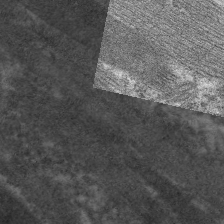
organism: C. elegans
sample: Pharynx